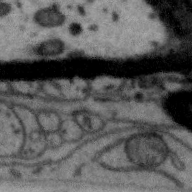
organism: Zebra finch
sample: Brain